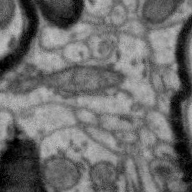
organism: Zebra finch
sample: Brain